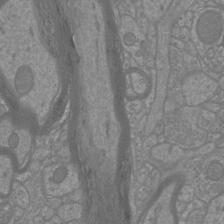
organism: Mouse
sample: Cortical neurons